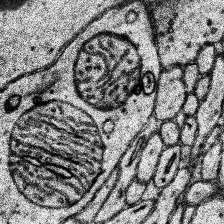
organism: Human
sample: Temporal Lobe